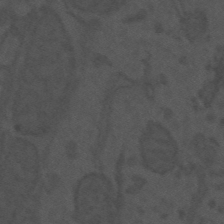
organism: Mouse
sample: Suprachiasmatic nucleus